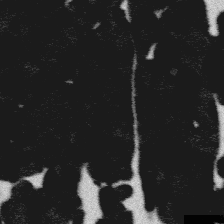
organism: Platynereis dumerilii